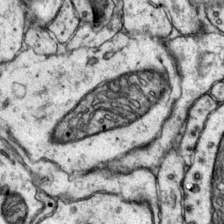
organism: Mouse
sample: Primary visual cortex